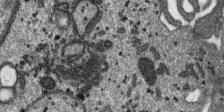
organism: Human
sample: Lung epithelial cells infected with SARS-CoV-2